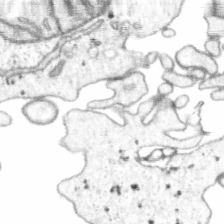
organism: Human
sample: HeLa cells